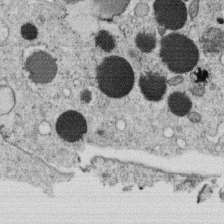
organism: C. elegans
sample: C. elegans oocyte; sperm cells